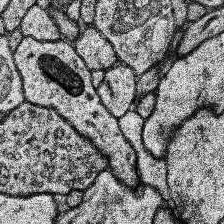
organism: Human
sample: Temporal Lobe